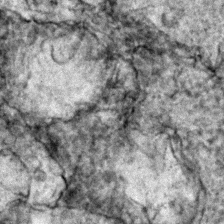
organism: Zebrafish